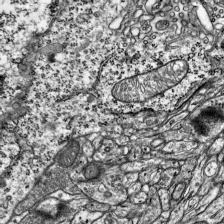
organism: Mouse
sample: Visual Cortex